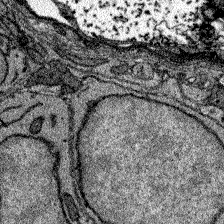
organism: Zebrafish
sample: Larval olfactory bulb